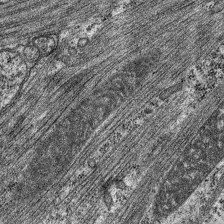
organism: C. elegans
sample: Pharynx